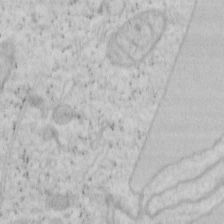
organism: Human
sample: HeLa cells